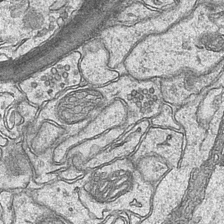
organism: Mouse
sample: CA1 Hippocampus